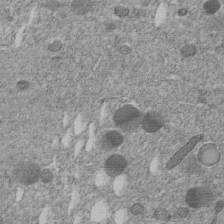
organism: C. elegans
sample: C. elegans embryo early stage